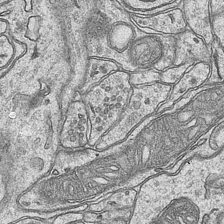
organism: Mouse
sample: CA1 Hippocampus